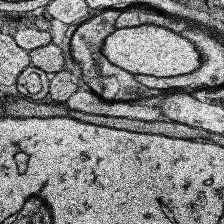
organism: Human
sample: Temporal Lobe